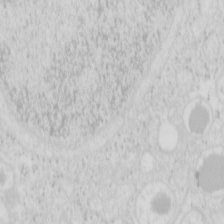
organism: Mouse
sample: Pancreas